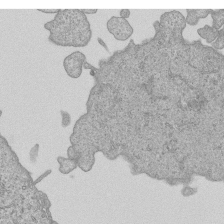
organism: Human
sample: MDA-MB-231 cells